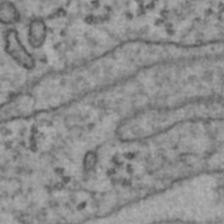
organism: Human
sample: Blood